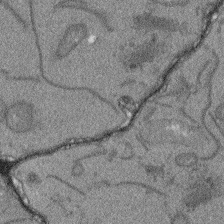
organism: Arabidopsis thaliana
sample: Root tip